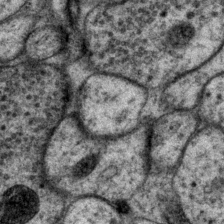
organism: P. pacificus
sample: Pharynx